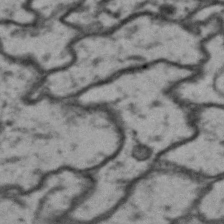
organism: Drosophila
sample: Brain